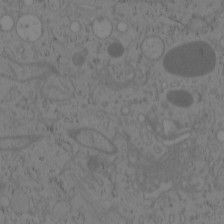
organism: Human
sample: HeLa cells